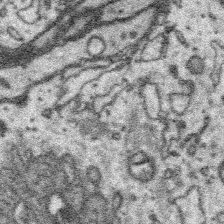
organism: Platynereis dumerilii